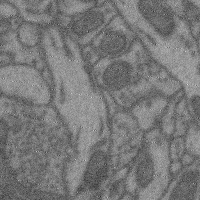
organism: Mouse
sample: Cerebral cortex